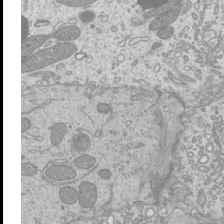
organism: Mouse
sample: Cilia; mouse epididymis